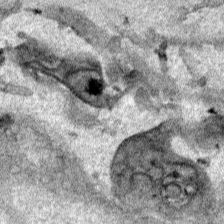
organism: Human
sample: Mitochondria in HCT116 cells